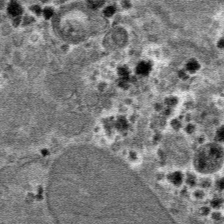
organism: Mouse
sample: Mouse hepatocytes